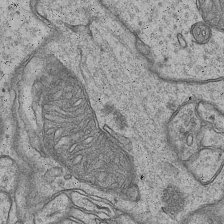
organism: Mouse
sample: CA1 Hippocampus